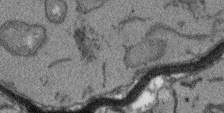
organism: Arabidopsis thaliana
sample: Root tip